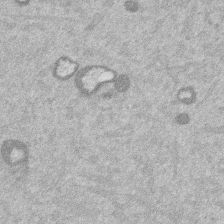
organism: Mouse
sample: Dividing mouse embryo 1 cell stage